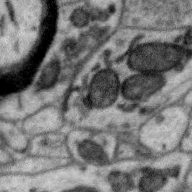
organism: Zebra finch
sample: Brain